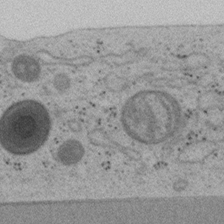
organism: Human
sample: HeLa cells